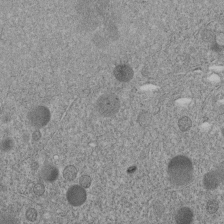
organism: C. elegans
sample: C. elegans embryo early stage